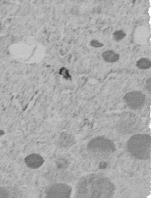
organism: C. elegans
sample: C. elegans embryo early stage